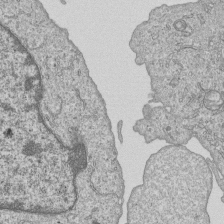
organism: Human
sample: MDA-MB-231 cells